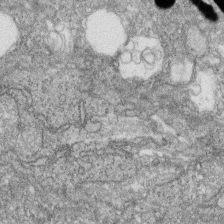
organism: Zebrafish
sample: Cilia; retinal pigment epithelium